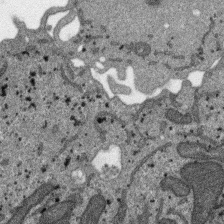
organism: Human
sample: Lung epithelial cells infected with SARS-CoV-2